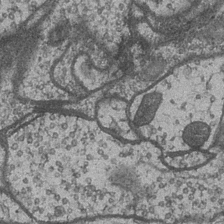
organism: Drosophila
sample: Optic medulla